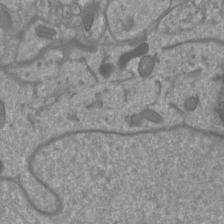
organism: Mouse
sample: Cortical neurons